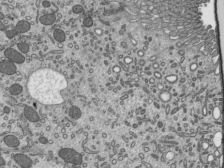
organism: Mouse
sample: Mouse epididymis efferent ductule cilia